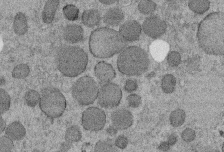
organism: C. elegans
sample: C. elegans embryo early stage